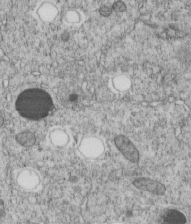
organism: C. elegans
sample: C. elegans embryo early stage